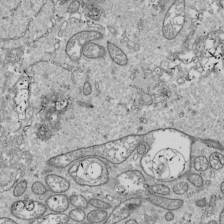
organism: Drosophila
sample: Cell division; meiosis; drosophila spermatocytes